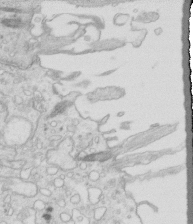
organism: Mouse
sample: Multiciliated cells